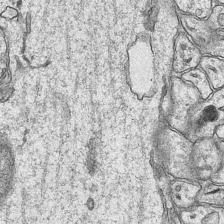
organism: Mouse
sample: CA1 Hippocampus